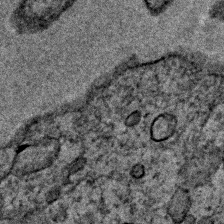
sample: Trachea